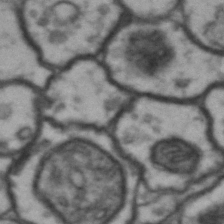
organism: Drosophila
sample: Brain